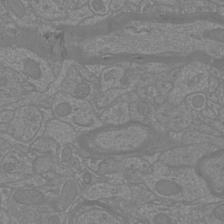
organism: Mouse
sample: Cortical neurons